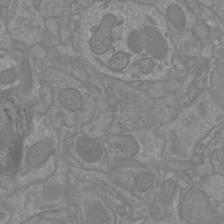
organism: Mouse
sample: Cortical neurons